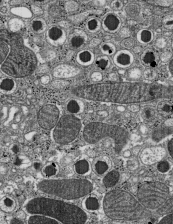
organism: C57BL Mouse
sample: Pancreatic islet